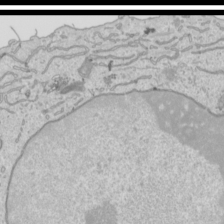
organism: Human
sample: Mitochondria in HCT116 cells